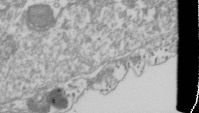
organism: Drosophila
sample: Cell division; meiosis; drosophila spermatocytes